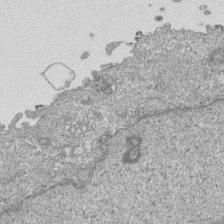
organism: Human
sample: HeLa cell HIV synapse